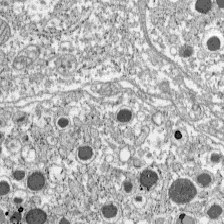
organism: C57BL Mouse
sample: Pancreatic islet